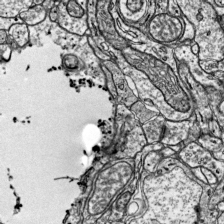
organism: Mouse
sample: Visual Cortex